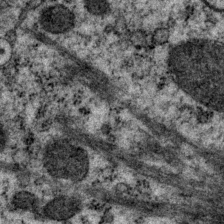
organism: P. pacificus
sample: Pharynx